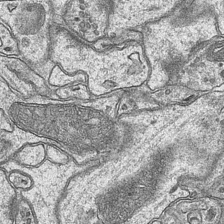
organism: Mouse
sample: CA1 Hippocampus